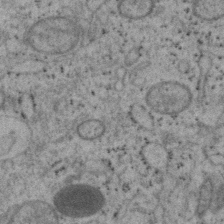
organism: Human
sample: HeLa cells